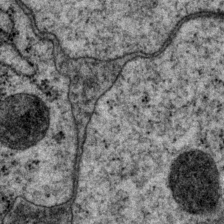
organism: P. pacificus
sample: Pharynx